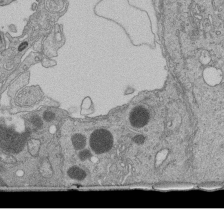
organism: Human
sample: Retinal organoid Rod and Cone cells